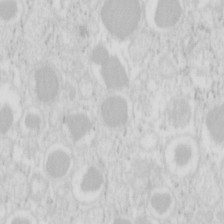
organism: Mouse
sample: Pancreas